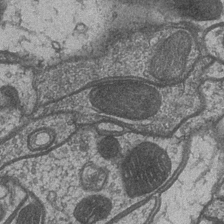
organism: Drosophila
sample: Optic medulla